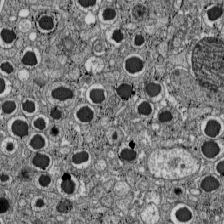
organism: C57BL Mouse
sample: Pancreatic islet